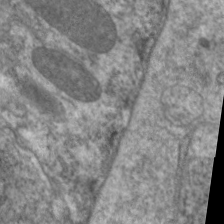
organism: C. elegans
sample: Pharynx